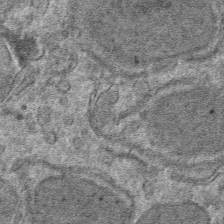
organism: Mouse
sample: Mouse hepatocytes